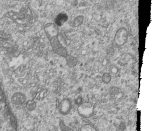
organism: Human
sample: MDA-MB-231 cells